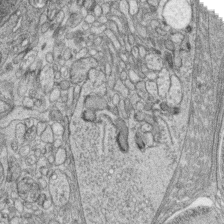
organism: Zebrafish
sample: synaptic ribbons in rod cells and cone cells